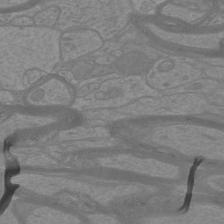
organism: Mouse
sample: Cortical neurons